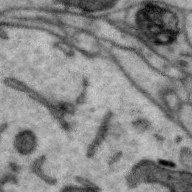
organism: Zebra finch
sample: Brain